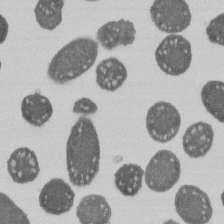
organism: E. coli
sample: Bacterial nucleoid